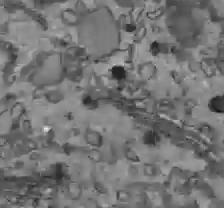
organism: C57BL Mouse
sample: Liver